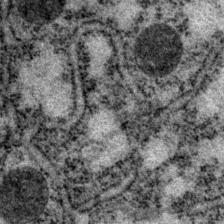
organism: P. pacificus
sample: Pharynx